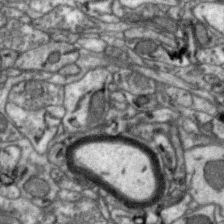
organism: Zebra finch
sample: Brain